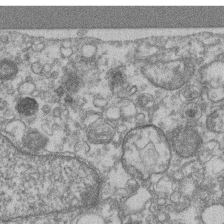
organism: Mouse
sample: T cell stromal cell synapse